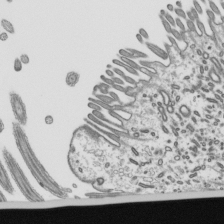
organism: Mouse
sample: Mouse epididymis efferent ductule cilia